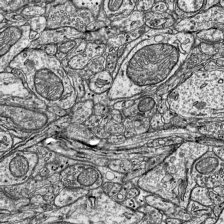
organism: Mouse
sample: Visual Cortex